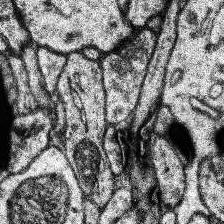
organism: Human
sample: Temporal Lobe